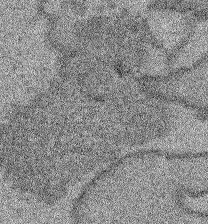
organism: Human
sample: HeLa cells